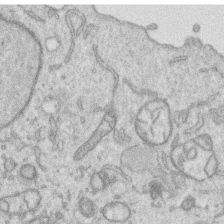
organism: Human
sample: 1205lu cells